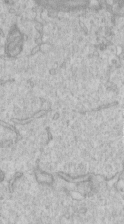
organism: Human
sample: Centriole in RPE cells